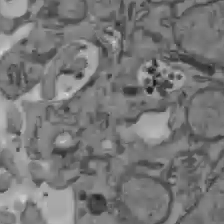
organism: C57BL Mouse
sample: Liver